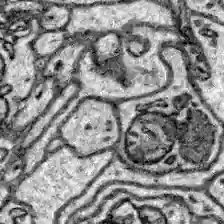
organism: Zebrafish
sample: Brain